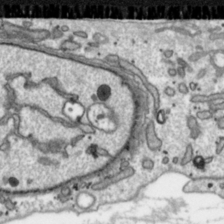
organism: Toxoplasma gondii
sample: Parasites in a vacuole inside a host cell